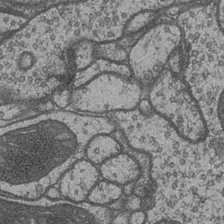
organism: Drosophila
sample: Optic medulla